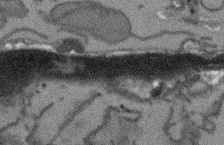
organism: Arabidopsis thaliana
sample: Root tip